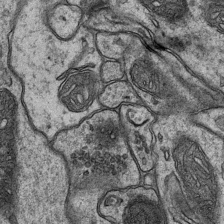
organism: Mouse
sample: CA1 Hippocampus